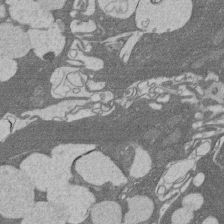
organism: Rat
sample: Salivary granule